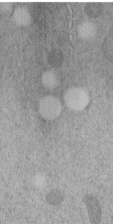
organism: C. elegans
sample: C. elegans embryo early stage